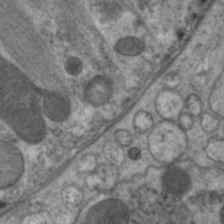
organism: C. elegans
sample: Pharynx